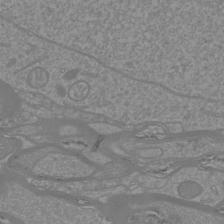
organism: Mouse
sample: Cortical neurons